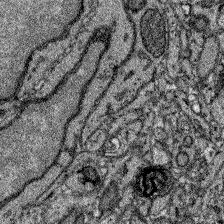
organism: Zebrafish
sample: Larval olfactory bulb